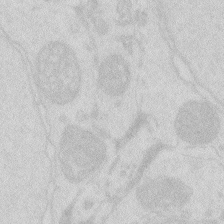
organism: Zebrafish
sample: Macrophage